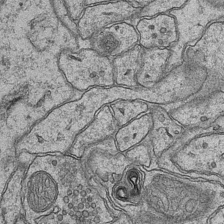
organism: Mouse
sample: CA1 Hippocampus